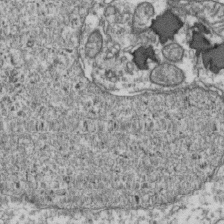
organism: Human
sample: Activated Jurkat CD4+ T cells